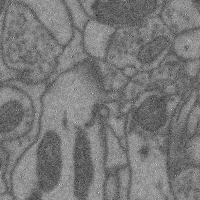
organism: Mouse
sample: Cerebral cortex